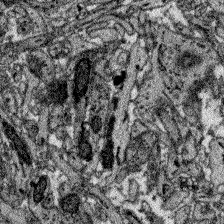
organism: Zebrafish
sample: Larval olfactory bulb